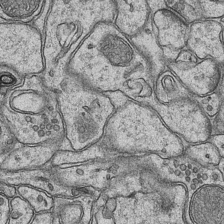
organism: Mouse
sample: CA1 Hippocampus